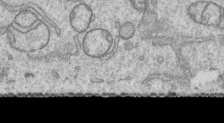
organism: Human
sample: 1205lu cells